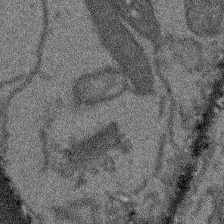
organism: Arabidopsis thaliana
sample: Root tip